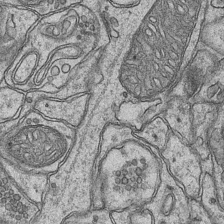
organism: Mouse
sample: CA1 Hippocampus